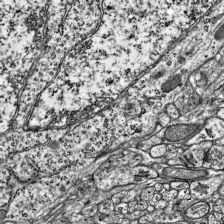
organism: Mouse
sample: Visual Cortex